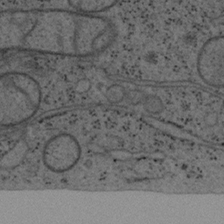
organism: Human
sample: HeLa cells